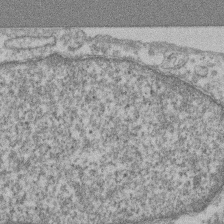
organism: Mouse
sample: T cell stromal cell synapse